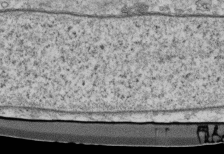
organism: Mouse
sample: Cilia; retinal pigment epithelium